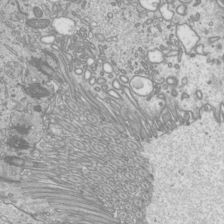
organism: Mouse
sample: Cilia; mouse epididymis